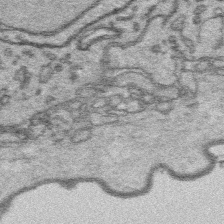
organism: Platynereis dumerilii